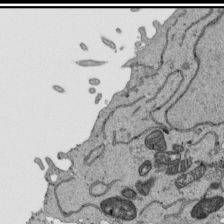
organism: Human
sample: Mitochondria in HCT116 cells